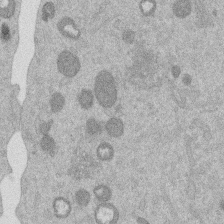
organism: Mouse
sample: Dividing mouse embryo 1 cell stage